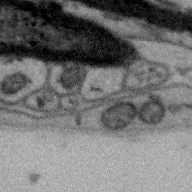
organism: Zebra finch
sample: Brain